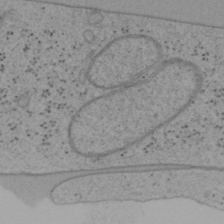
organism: Human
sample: HeLa cells